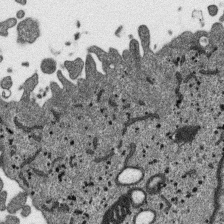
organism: Human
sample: Lung epithelial cells infected with SARS-CoV-2